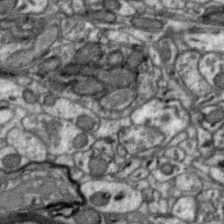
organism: Zebra finch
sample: Brain